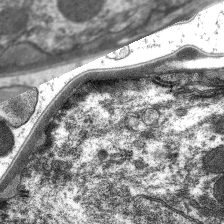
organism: C. elegans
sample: Pharynx